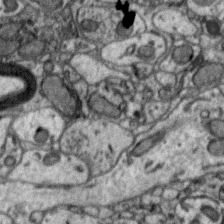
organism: Zebra finch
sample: Brain